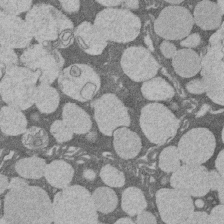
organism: Rat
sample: Salivary granule